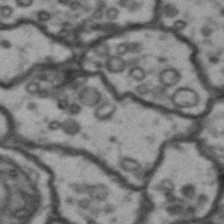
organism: Drosophila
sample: Brain